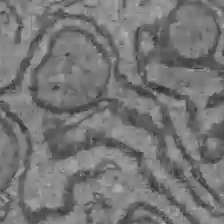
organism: C57BL Mouse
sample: Liver